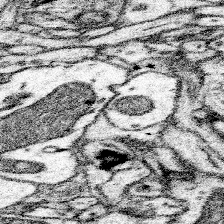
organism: Mouse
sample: Somatosensory cortex neuropil